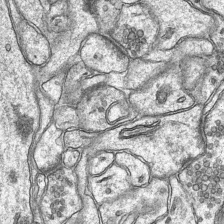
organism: Mouse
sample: CA1 Hippocampus